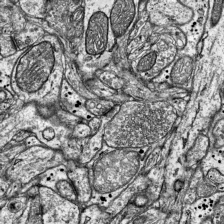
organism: Mouse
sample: Visual Cortex